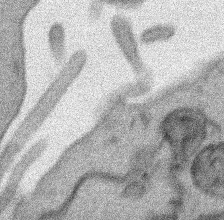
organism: Human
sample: Mitochondria in HCT116 cells